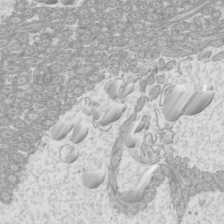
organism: Mouse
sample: Cilia; mouse epididymis